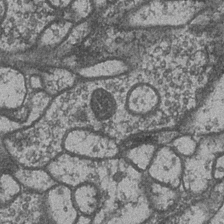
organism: Drosophila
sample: Optic medulla